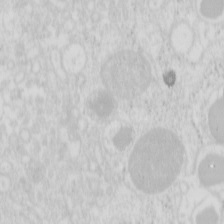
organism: Mouse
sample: Pancreas